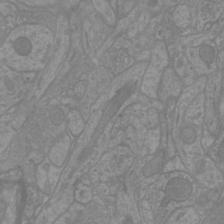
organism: Mouse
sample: Cortical neurons